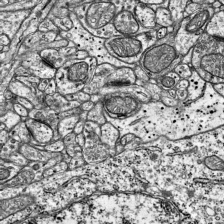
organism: Mouse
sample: Visual Cortex